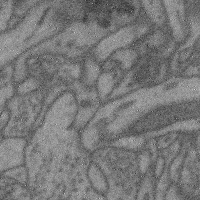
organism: Mouse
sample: Cerebral cortex